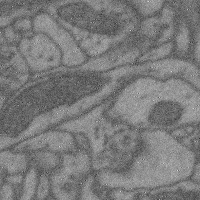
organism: Mouse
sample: Cerebral cortex